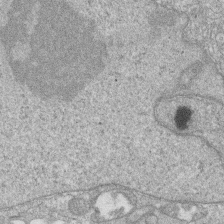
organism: Human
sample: HeLa cell HIV synapse